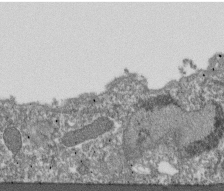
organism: Dictyostelium discoideum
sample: Dictyostelium multivesicular bodies